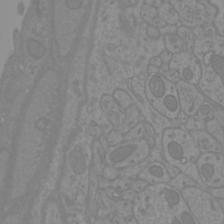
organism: Mouse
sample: Cortical neurons